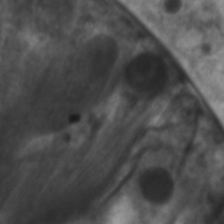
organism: C. elegans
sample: Pharynx